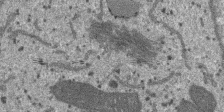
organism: Human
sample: Lung epithelial cells infected with SARS-CoV-2